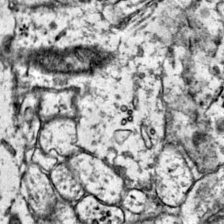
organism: Mouse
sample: Primary visual cortex